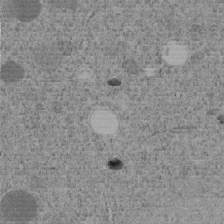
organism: C. elegans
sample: C. elegans embryo early stage